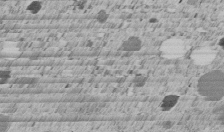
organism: C. elegans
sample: C. elegans embryo early stage